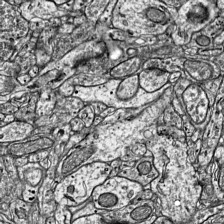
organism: Mouse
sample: Visual Cortex